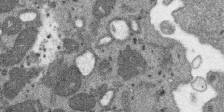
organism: Human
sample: Lung epithelial cells infected with SARS-CoV-2